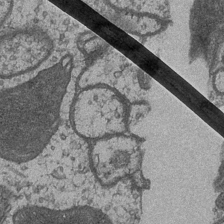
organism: Drosophila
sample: Optic medulla